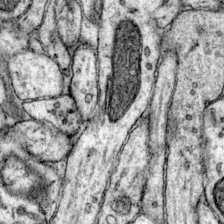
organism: Mouse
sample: Primary visual cortex